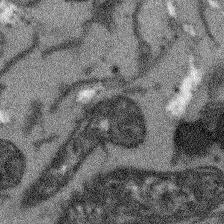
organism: Arabidopsis thaliana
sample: Root tip